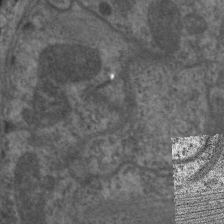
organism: C. elegans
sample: Pharynx